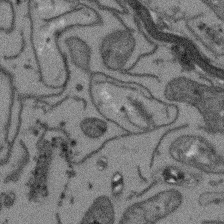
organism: Arabidopsis thaliana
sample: Root tip